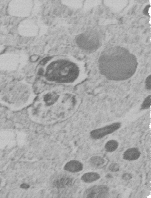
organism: C. elegans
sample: C. elegans embryo early stage